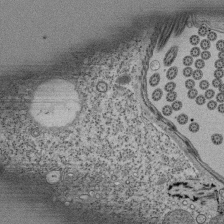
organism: Tetrahymena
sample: Cilia in tetrahymena